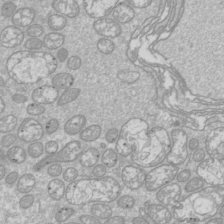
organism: Drosophila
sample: Cell division; meiosis; drosophila spermatocytes